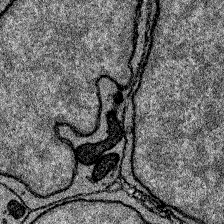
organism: Zebrafish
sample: Larval olfactory bulb